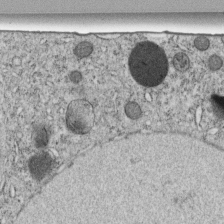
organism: C. elegans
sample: C. elegans embryo early stage